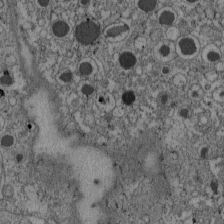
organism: C57BL Mouse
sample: Pancreatic islet